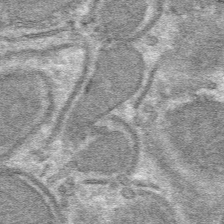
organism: Mouse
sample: Mouse hepatocytes